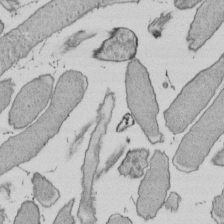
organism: E. coli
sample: Bacterial nucleoid